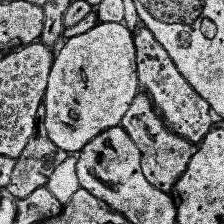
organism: Human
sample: Temporal Lobe